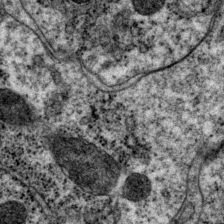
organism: P. pacificus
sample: Pharynx